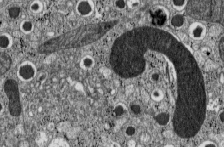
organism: C57BL Mouse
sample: Pancreatic islet